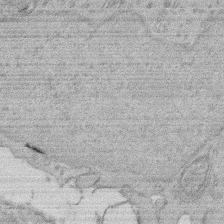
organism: Rat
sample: Salivary granule